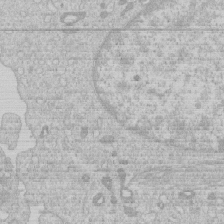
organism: Human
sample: Macrophage cells